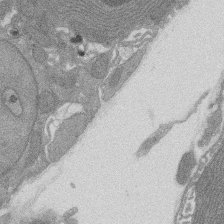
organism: Rat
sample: Salivary granule